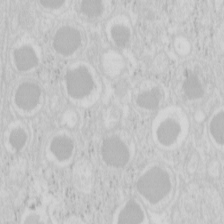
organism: Mouse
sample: Pancreas